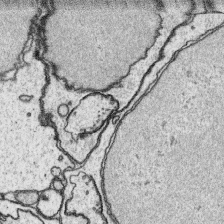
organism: Platynereis dumerilii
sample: Parapodia